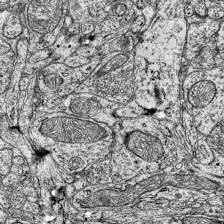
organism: Mouse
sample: Visual Cortex